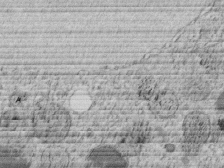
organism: C. elegans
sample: C. elegans embryo early stage